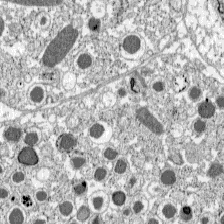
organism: C57BL Mouse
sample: Pancreatic islet